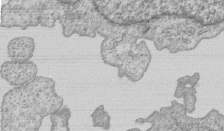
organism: Human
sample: MDA-MB-231 cells